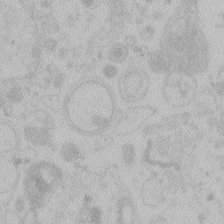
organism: Zebrafish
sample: Macrophage infected with Toxoplasma gondii